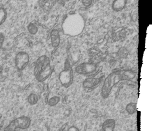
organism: Human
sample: MDA-MB-231 cells